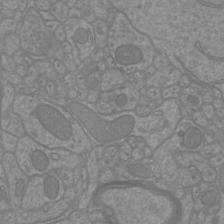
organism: Mouse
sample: Cortical neurons